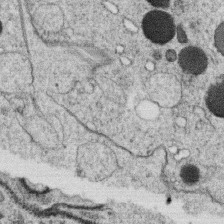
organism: C. elegans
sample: C. elegans oocyte; sperm cells